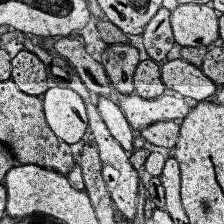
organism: Human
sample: Temporal Lobe